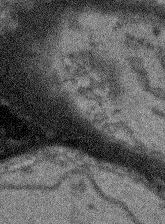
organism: Arabidopsis thaliana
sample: Root tip